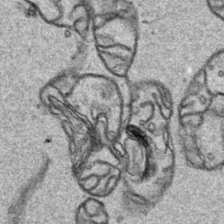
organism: Human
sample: Mitochondria in HCT116 cells